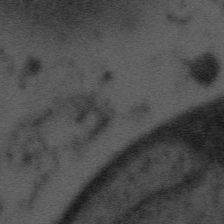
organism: Tuwongella immobilis